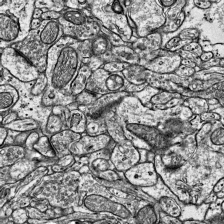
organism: Mouse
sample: Visual Cortex